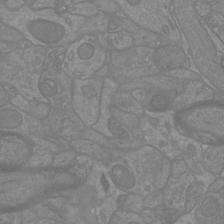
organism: Mouse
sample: Cortical neurons